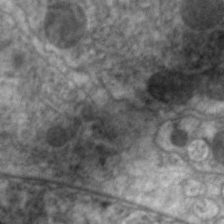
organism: C. elegans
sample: Pharynx